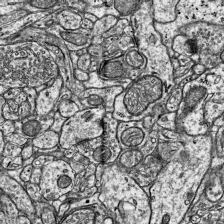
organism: Mouse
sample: Visual Cortex